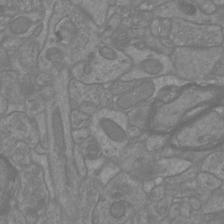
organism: Mouse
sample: Cortical neurons